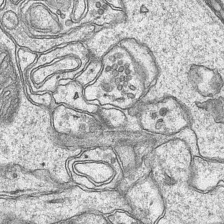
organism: Mouse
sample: CA1 Hippocampus